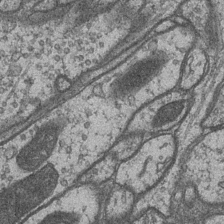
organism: Drosophila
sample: Optic medulla